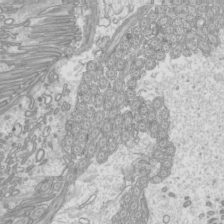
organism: Mouse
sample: Cilia; mouse epididymis